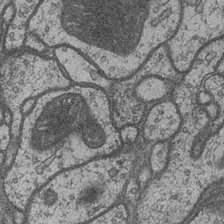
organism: Drosophila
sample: Optic medulla